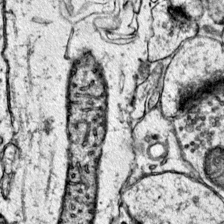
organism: Mouse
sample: Primary visual cortex